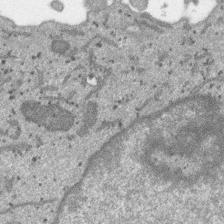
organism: Human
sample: Lung epithelial cells infected with SARS-CoV-2